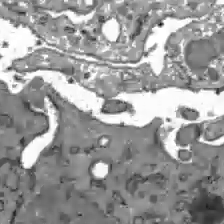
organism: C57BL Mouse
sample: Liver